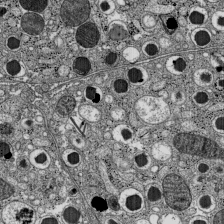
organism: C57BL Mouse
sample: Pancreatic islet